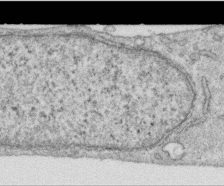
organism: Human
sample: Centriole in RPE cells